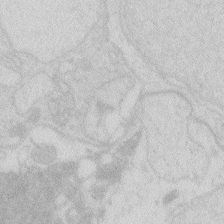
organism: Zebrafish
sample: Macrophage